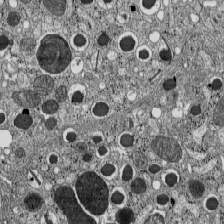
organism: C57BL Mouse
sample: Pancreatic islet